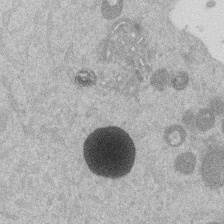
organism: Mouse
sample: Dividing mouse embryo 1 cell stage